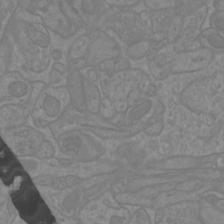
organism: Mouse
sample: Cortical neurons